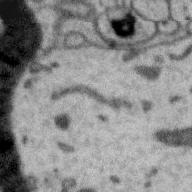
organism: Zebra finch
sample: Brain